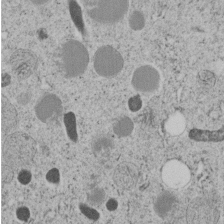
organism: C. elegans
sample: C. elegans embryo early stage